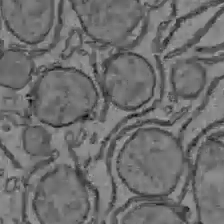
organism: C57BL Mouse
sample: Liver